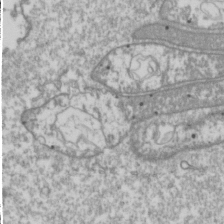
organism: Drosophila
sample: Cell division; meiosis; drosophila spermatocytes